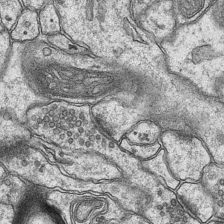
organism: Mouse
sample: CA1 Hippocampus